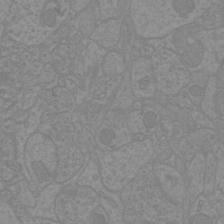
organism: Mouse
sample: Cortical neurons